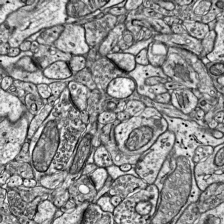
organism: Mouse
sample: Visual Cortex